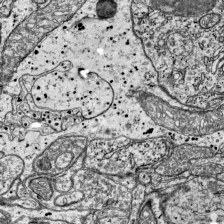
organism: Mouse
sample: Visual Cortex